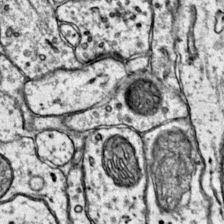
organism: Mouse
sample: Primary visual cortex